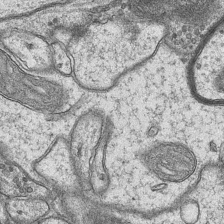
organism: Mouse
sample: CA1 Hippocampus